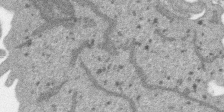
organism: Human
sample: Lung epithelial cells infected with SARS-CoV-2